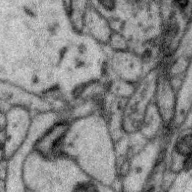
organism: Zebra finch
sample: Brain